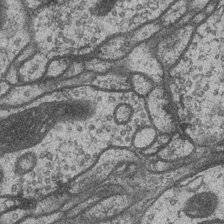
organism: Drosophila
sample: Optic medulla